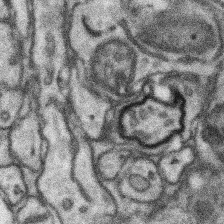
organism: Mouse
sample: Somatosensory cortex neuropil